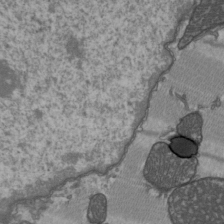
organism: C57BL Mouse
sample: Heart